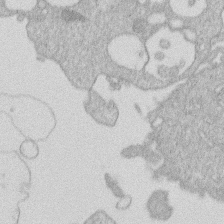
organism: Human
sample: Macrophage cells